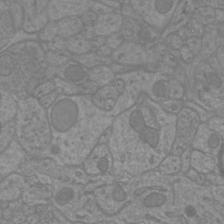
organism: Mouse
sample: Cortical neurons